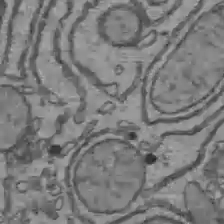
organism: C57BL Mouse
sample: Liver